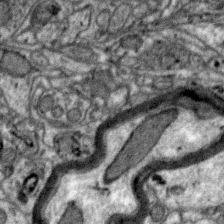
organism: Zebra finch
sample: Brain